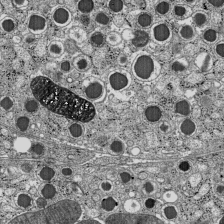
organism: C57BL Mouse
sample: Pancreatic islet